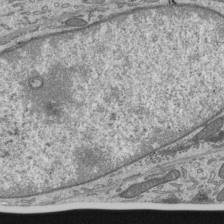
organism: Mouse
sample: Mouse epididymis efferent ductule cilia